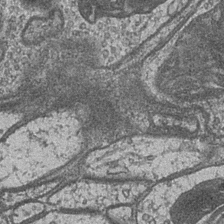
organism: Drosophila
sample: Optic medulla